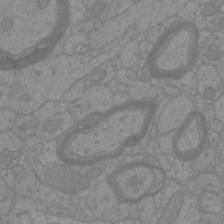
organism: Mouse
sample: Cortical neurons